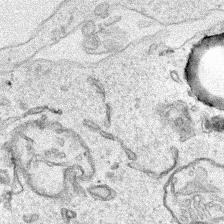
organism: Human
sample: Mitochondria in HCT116 cells